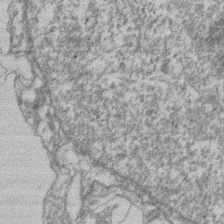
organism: Mouse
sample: T cell stromal cell synapse